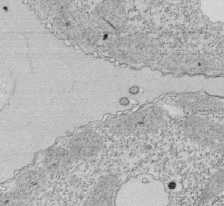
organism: Tetrahymena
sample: Cilia in tetrahymena